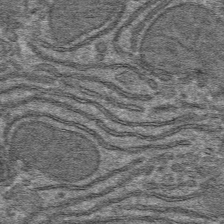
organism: Mouse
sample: Mouse hepatocytes